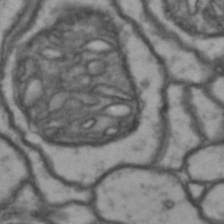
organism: Drosophila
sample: Brain